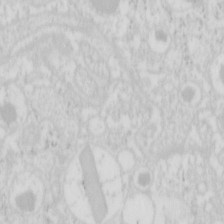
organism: Mouse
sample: Pancreas